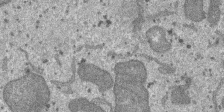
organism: Human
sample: Lung epithelial cells infected with SARS-CoV-2